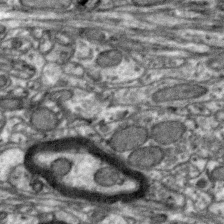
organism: Zebra finch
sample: Brain